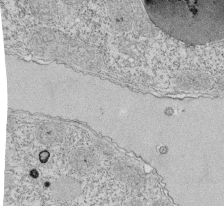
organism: Tetrahymena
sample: Cilia in tetrahymena